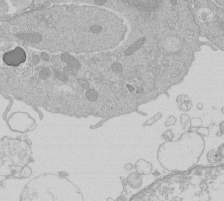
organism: Human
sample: Macrophage cells